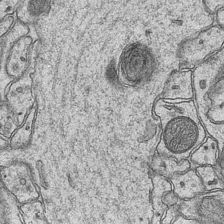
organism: Mouse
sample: CA1 Hippocampus